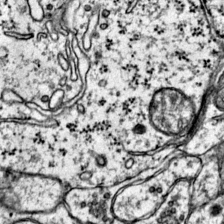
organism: Mouse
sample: Primary visual cortex